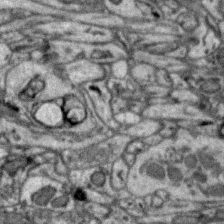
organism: Zebra finch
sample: Brain